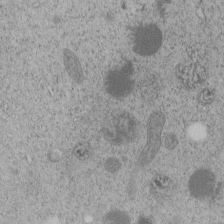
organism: C. elegans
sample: C. elegans embryo early stage